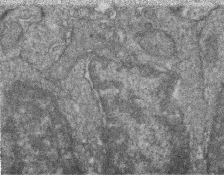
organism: Zebrafish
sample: Cilia; retinal pigment epithelium